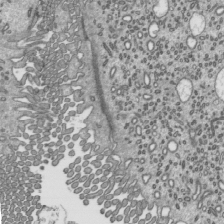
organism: Mouse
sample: Mouse epididymis efferent ductule cilia